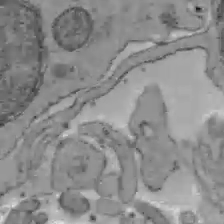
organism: C57BL Mouse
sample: Liver